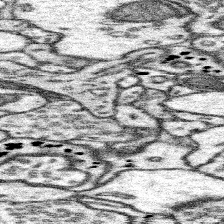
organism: Mouse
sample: Somatosensory cortex neuropil